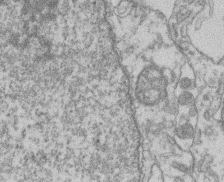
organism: Mouse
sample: T cell stromal cell synapse